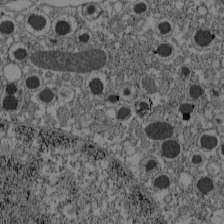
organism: C57BL Mouse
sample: Pancreatic islet